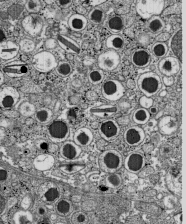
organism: C57BL Mouse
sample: Pancreatic islet